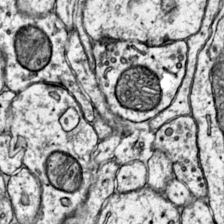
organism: Mouse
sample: Primary visual cortex